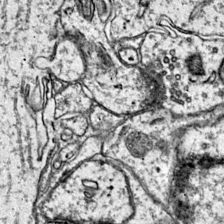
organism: Mouse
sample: Primary visual cortex